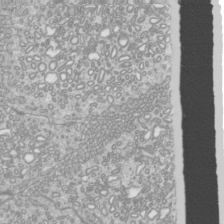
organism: Mouse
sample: Cilia; mouse epididymis